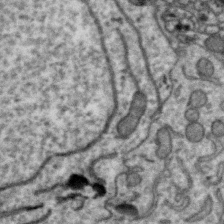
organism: Zebra finch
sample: Brain